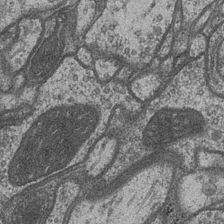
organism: Drosophila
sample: Optic medulla